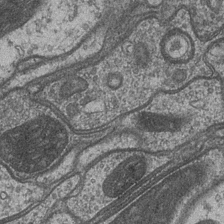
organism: Drosophila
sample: Optic medulla